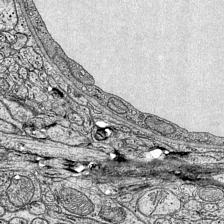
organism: Mouse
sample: Visual Cortex